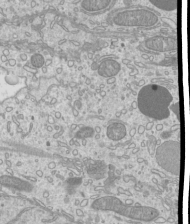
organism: Mouse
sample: Cilia; mouse epididymis